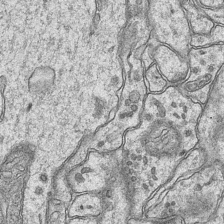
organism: Mouse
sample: CA1 Hippocampus